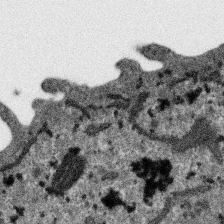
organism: Human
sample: Lung epithelial cells infected with SARS-CoV-2